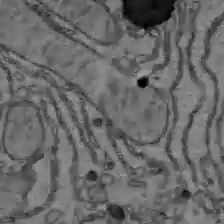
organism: C57BL Mouse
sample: Liver